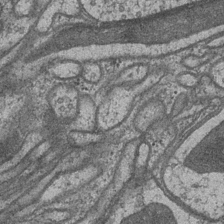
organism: Drosophila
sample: Optic medulla